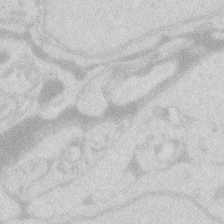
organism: Zebrafish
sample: Macrophage